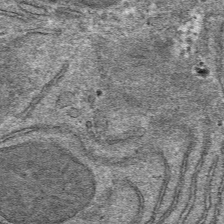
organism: Mouse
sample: Mouse hepatocytes